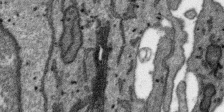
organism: Human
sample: Lung epithelial cells, uninfected (mock) control